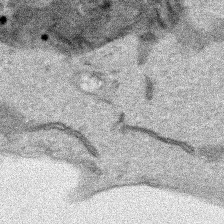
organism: Human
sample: Mitochondria in HCT116 cells